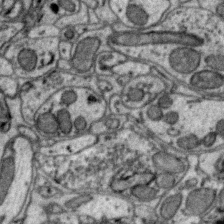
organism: Zebra finch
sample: Brain